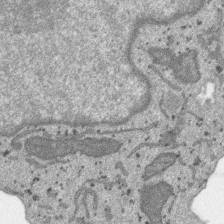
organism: Human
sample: Lung epithelial cells infected with SARS-CoV-2